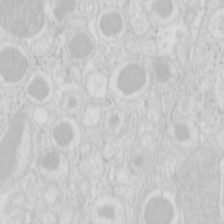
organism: Mouse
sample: Pancreas